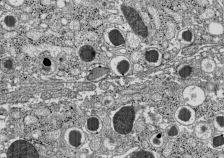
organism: C57BL Mouse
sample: Pancreatic islet